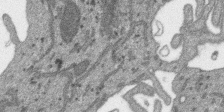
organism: Human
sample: Lung epithelial cells infected with SARS-CoV-2